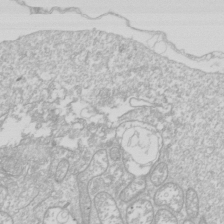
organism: Drosophila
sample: Cell division; meiosis; drosophila spermatocytes